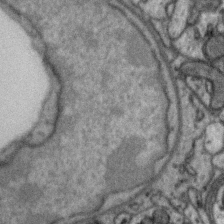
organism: Zebra finch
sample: Brain